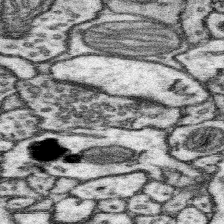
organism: Mouse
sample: Somatosensory cortex neuropil